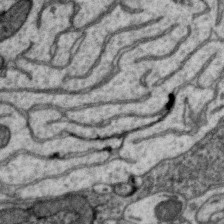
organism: Zebra finch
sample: Brain